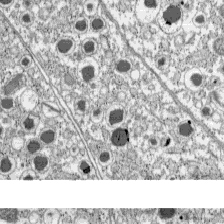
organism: C57BL Mouse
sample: Pancreatic islet